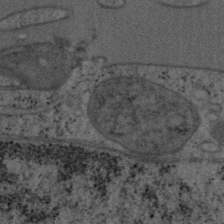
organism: Human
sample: HeLa cells